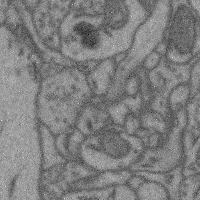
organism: Mouse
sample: Cerebral cortex